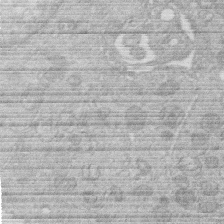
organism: Human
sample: Macrophage cells